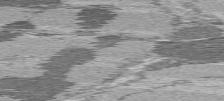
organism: C57BL Mouse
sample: Heart